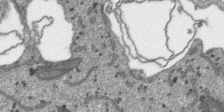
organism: Human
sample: Lung epithelial cells infected with SARS-CoV-2